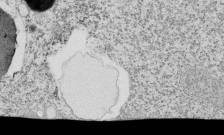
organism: Tetrahymena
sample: Cilia in tetrahymena